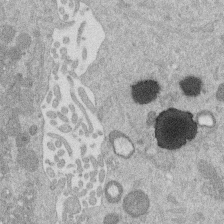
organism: Mouse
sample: Dividing mouse embryo 1 cell stage